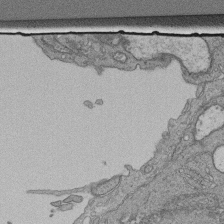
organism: Human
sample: Retinal organoid Rod and Cone cells